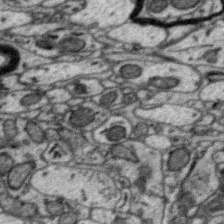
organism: Zebra finch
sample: Brain